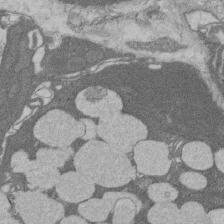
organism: Rat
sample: Salivary granule